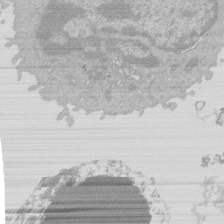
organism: Mouse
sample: Activated Pmel transgenic CD8+ T Cells